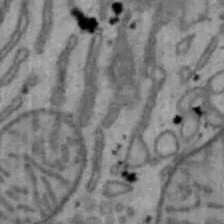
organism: Mouse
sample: Liver